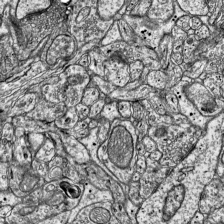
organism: Mouse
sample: Visual Cortex